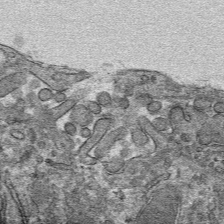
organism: Mouse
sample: Mouse hepatocytes